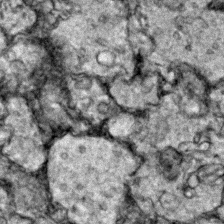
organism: Zebrafish